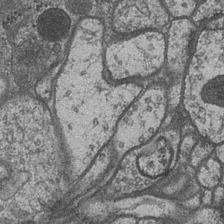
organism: Drosophila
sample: Optic medulla